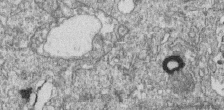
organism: Human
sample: HeLa cell HIV synapse